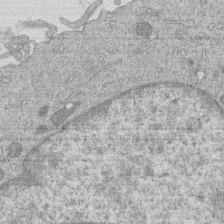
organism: Human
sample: Macrophage cells